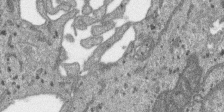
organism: Human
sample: Lung epithelial cells infected with SARS-CoV-2